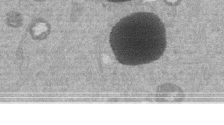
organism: Mouse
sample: Dividing mouse embryo 1 cell stage